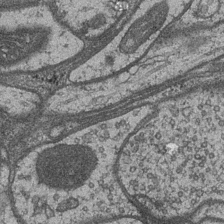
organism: Drosophila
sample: Optic medulla